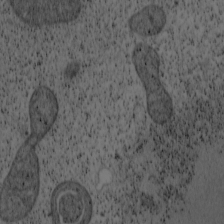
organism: African green monkey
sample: COS-7 cells